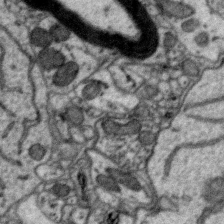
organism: Zebra finch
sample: Brain